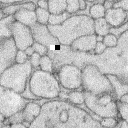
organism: Rabbit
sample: Retina